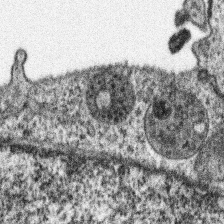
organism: Human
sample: HeLa cells